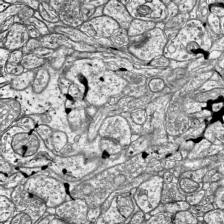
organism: Mouse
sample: Visual Cortex